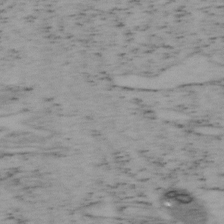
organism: Mouse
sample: OT-I killer T cells with ID8 ovarian cancer cells